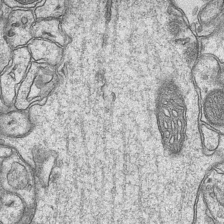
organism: Mouse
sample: CA1 Hippocampus